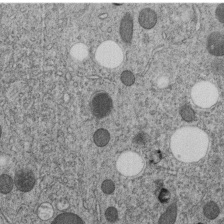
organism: C. elegans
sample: C. elegans embryo early stage